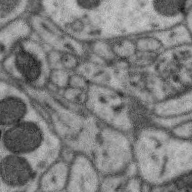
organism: Zebra finch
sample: Brain